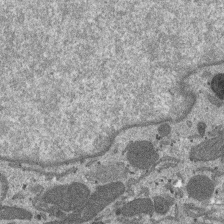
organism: Human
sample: Lung epithelial cells infected with SARS-CoV-2